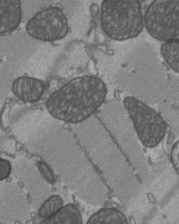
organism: C57BL Mouse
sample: Heart